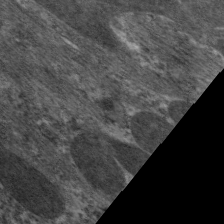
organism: C. elegans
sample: Pharynx